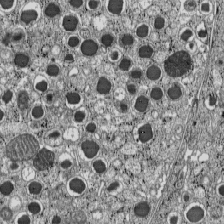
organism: C57BL Mouse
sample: Pancreatic islet